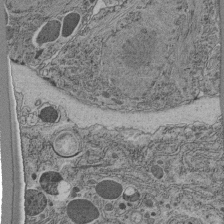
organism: C. elegans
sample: C. elegans pharynx